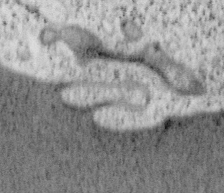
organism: Mouse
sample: OT-I killer T cells with ID8 ovarian cancer cells